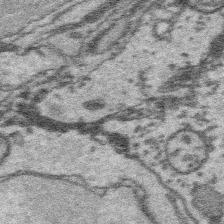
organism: Platynereis dumerilii